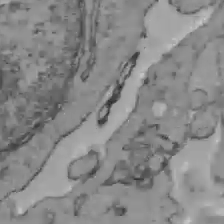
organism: C57BL Mouse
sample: Liver